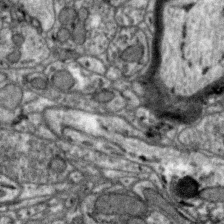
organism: Zebra finch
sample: Brain